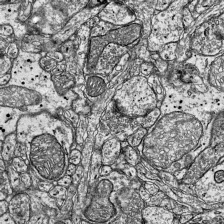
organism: Mouse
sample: Visual Cortex